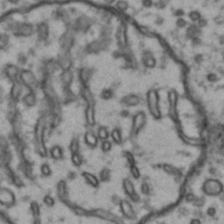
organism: Drosophila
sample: Brain